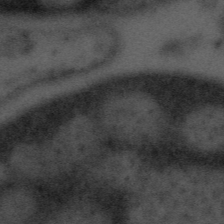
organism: Tuwongella immobilis